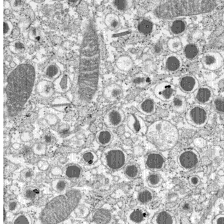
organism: C57BL Mouse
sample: Pancreatic islet